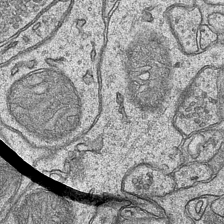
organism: Mouse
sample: CA1 Hippocampus